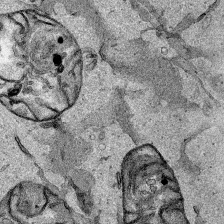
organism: Human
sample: Mitochondria in HCT116 cells